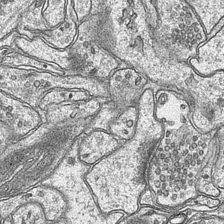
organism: Mouse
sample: CA1 Hippocampus